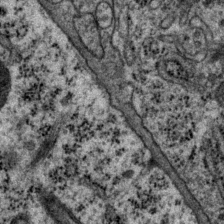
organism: P. pacificus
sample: Pharynx